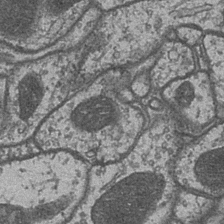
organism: Drosophila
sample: Optic medulla